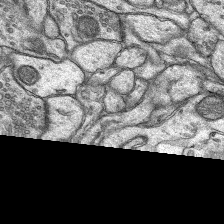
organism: Rat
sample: Hippocampus